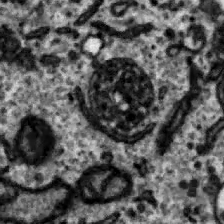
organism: Human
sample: HeLa cells